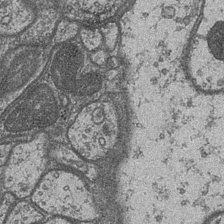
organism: Drosophila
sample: Optic medulla